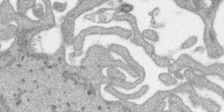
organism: Human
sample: Lung epithelial cells infected with SARS-CoV-2